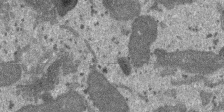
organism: Human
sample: Lung epithelial cells infected with SARS-CoV-2